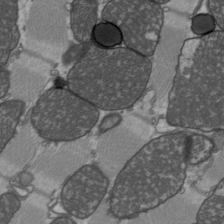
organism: C57BL Mouse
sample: Heart